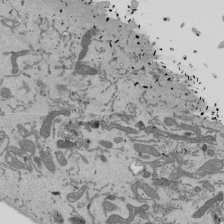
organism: Mouse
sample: ED-1 cell nuclei; centrioles